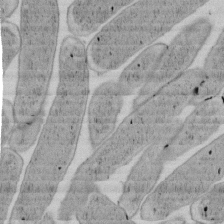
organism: E. coli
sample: Bacterial nucleoid